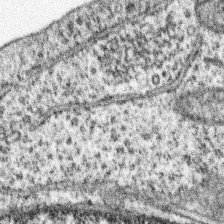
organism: Human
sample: HeLa cells